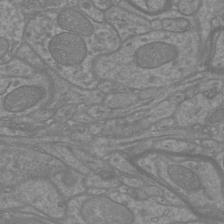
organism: Mouse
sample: Cortical neurons